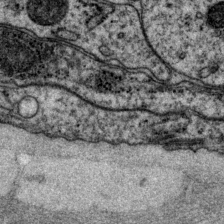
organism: P. pacificus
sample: Pharynx